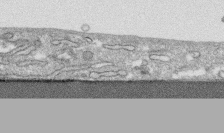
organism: Human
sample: CRL-1474